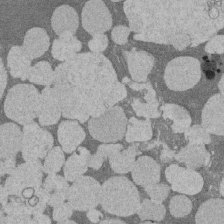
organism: Rat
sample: Salivary granule